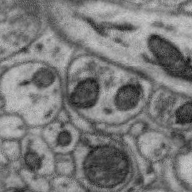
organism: Zebra finch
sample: Brain